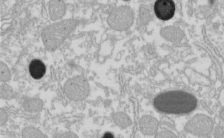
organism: Xenopus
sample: Cilia; centrioles in frog embryo cells